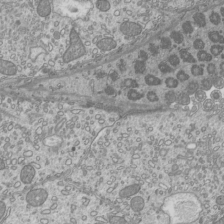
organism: Mouse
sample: Cilia; mouse epididymis